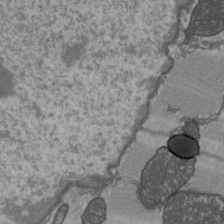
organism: C57BL Mouse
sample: Heart